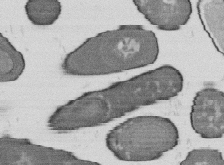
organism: B. subtilis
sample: Bacterial spore